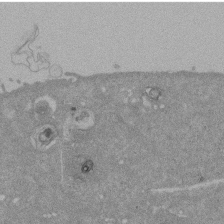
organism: Mouse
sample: ED-1 cell nuclei; centrioles